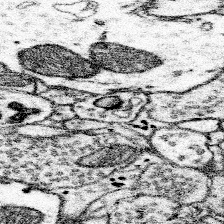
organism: Mouse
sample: Somatosensory cortex neuropil